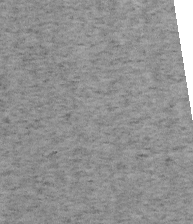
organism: Mouse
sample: OT-I killer T cells with ID8 ovarian cancer cells